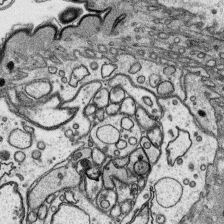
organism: Platynereis dumerilii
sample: Parapodia